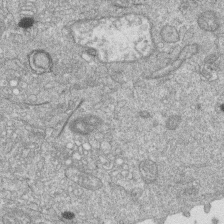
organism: Human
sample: HeLa cell HIV synapse